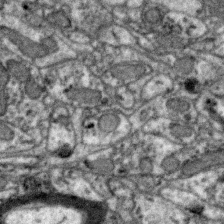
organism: Zebra finch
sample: Brain